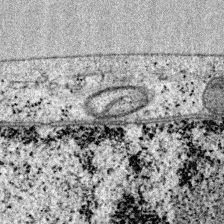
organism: Human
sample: HeLa cells